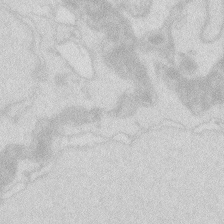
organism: Zebrafish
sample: Macrophage